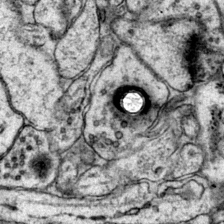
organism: Mouse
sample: Primary visual cortex